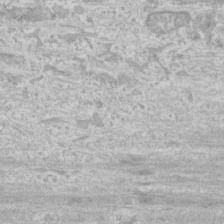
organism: Human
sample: CRL-1474